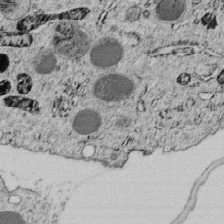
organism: C. elegans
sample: C. elegans embryo early stage